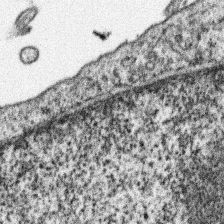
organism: Human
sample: HeLa cells